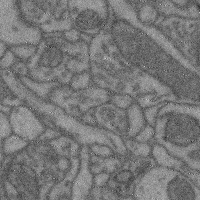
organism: Mouse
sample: Cerebral cortex